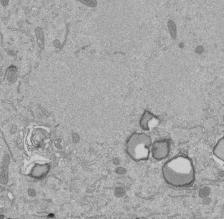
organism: Mouse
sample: ED-1 cell nuclei; centrioles